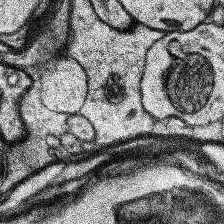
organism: Human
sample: Temporal Lobe